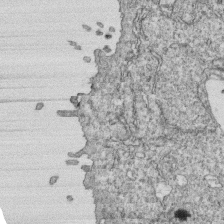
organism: Human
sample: HeLa cell HIV synapse